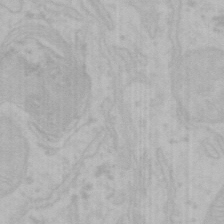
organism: Mouse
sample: Choroid plexus